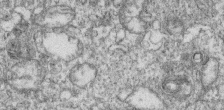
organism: Human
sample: HeLa cell HIV synapse